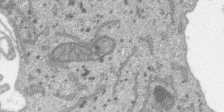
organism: Human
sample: Lung epithelial cells infected with SARS-CoV-2